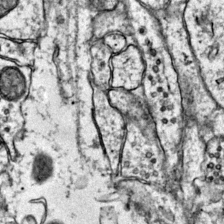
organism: Mouse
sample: Primary visual cortex